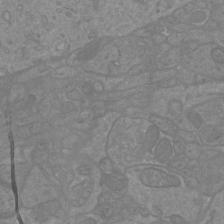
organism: Mouse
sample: Cortical neurons